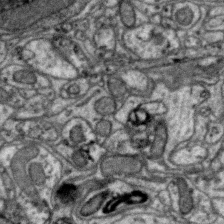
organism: Zebra finch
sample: Brain